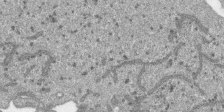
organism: Human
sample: Lung epithelial cells infected with SARS-CoV-2